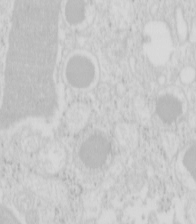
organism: Mouse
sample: Pancreas